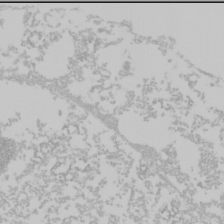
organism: Mouse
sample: Cancer cell death in ED-1 cells